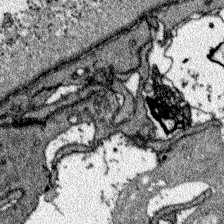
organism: Zebrafish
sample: Larval olfactory bulb